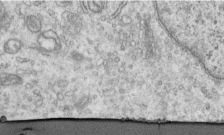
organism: Human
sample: Centriole in RPE cells